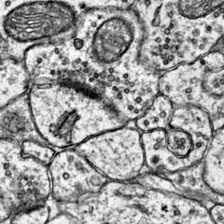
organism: Mouse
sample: Primary visual cortex